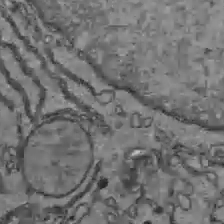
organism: C57BL Mouse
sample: Liver